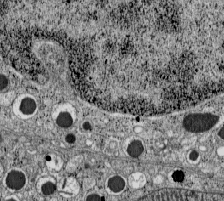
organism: C57BL Mouse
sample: Pancreatic islet